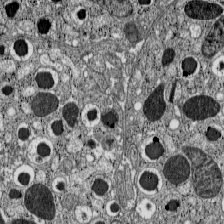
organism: C57BL Mouse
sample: Pancreatic islet